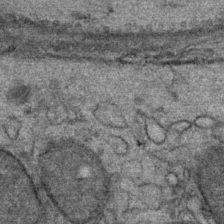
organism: Mouse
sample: Mouse Salivary gland